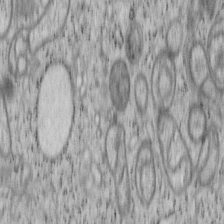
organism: Human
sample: HeLa cells